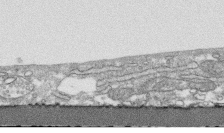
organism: Human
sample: CRL-1474